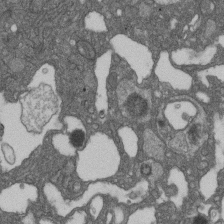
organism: Drosophila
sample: Nephrocyte